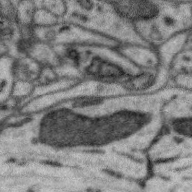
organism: Zebra finch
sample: Brain